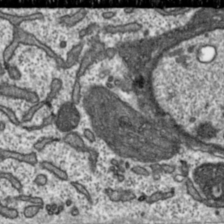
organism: Toxoplasma gondii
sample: Parasites in a vacuole inside a host cell